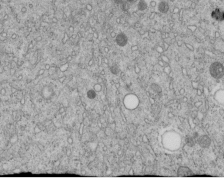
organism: C. elegans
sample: C. elegans embryo early stage